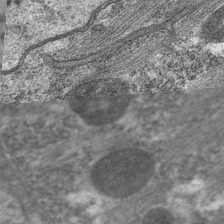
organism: C. elegans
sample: Pharynx